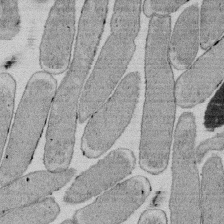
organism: E. coli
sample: Bacterial nucleoid